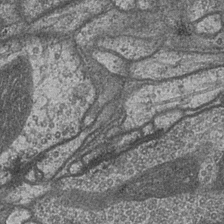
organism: Drosophila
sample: Optic medulla